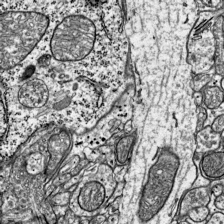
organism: Mouse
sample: Visual Cortex